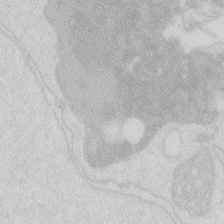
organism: Zebrafish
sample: Macrophage